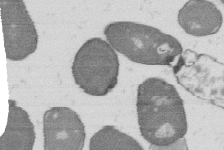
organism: B. subtilis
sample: Bacterial spore